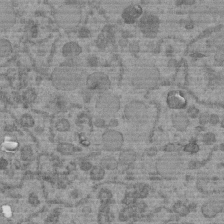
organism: C. elegans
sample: C. elegans embryo early stage